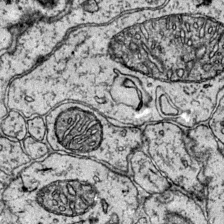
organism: Mouse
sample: Primary visual cortex